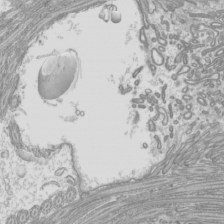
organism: Mouse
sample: Cilia; mouse epididymis